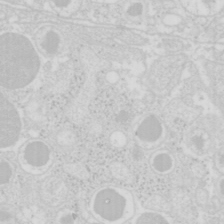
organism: Mouse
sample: Pancreas